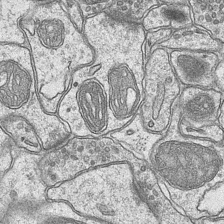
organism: Mouse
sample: CA1 Hippocampus